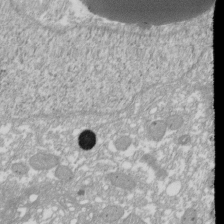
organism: Xenopus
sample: Cilia; centrioles in frog embryo cells